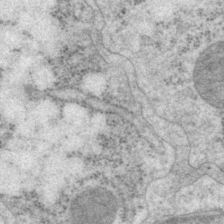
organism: P. pacificus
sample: Pharynx